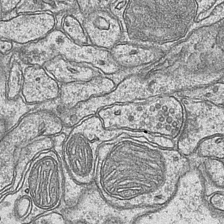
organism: Mouse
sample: CA1 Hippocampus